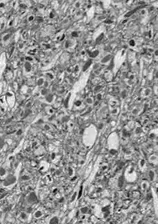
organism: Drosophila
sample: Optic lobe